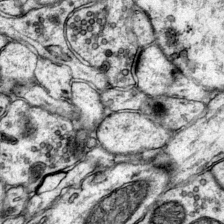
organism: Mouse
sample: Primary visual cortex